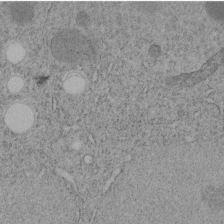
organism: C. elegans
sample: C. elegans embryo early stage